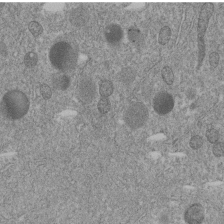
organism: C. elegans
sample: C. elegans embryo early stage